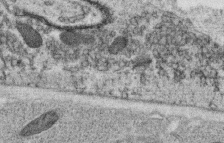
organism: C. elegans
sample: C. elegans oocyte; sperm cells